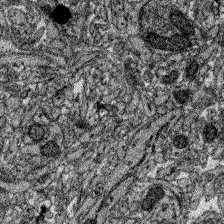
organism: Zebrafish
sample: Larval olfactory bulb